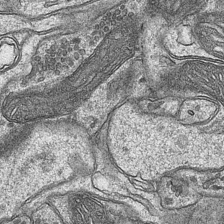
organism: Mouse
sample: CA1 Hippocampus